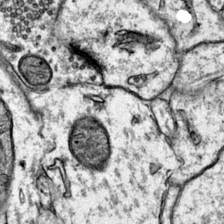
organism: Mouse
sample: Primary visual cortex